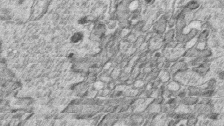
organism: Zebrafish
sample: synaptic ribbons in rod cells and cone cells